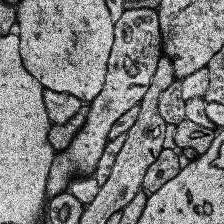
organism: Human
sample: Temporal Lobe